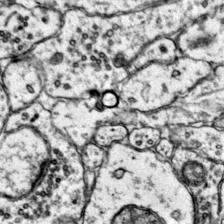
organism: Mouse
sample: Primary visual cortex